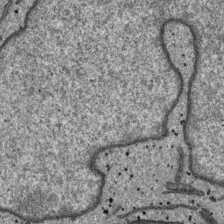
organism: Human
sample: Lung epithelial cells, uninfected (mock) control